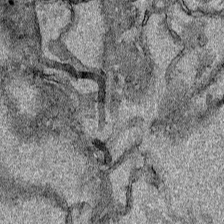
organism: Human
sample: Mitochondria in HCT116 cells